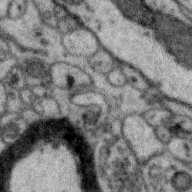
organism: Zebra finch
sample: Brain